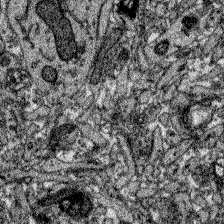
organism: Zebrafish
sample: Larval olfactory bulb